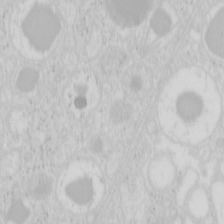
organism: Mouse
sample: Pancreas